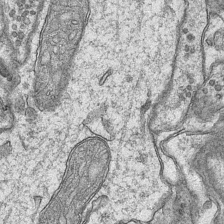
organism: Mouse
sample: CA1 Hippocampus